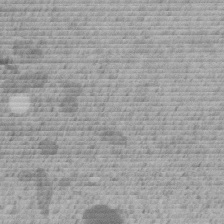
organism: C. elegans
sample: C. elegans embryo early stage